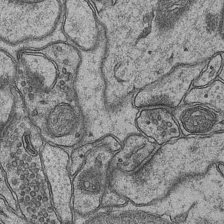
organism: Mouse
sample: CA1 Hippocampus